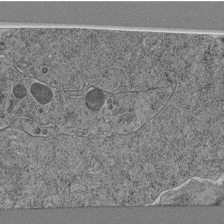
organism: C. elegans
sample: C. elegans pharynx